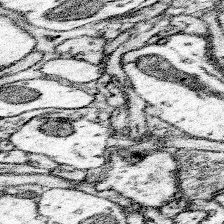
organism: Mouse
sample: Somatosensory cortex neuropil